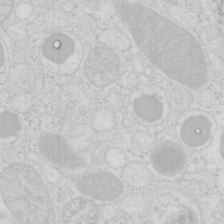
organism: Mouse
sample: Pancreas